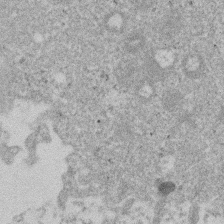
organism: Mouse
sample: Dividing mouse embryo 1 cell stage